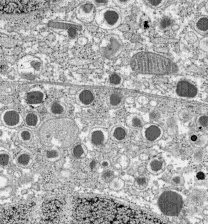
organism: C57BL Mouse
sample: Pancreatic islet